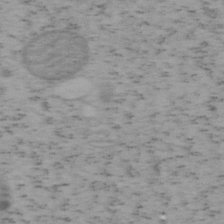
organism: Mouse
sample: OT-I killer T cells with ID8 ovarian cancer cells